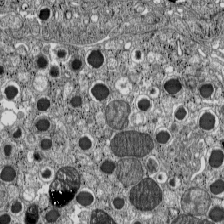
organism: C57BL Mouse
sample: Pancreatic islet